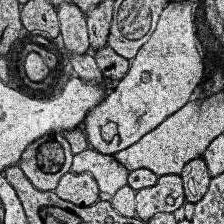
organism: Human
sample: Temporal Lobe